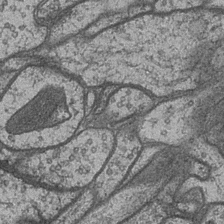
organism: Drosophila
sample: Optic medulla